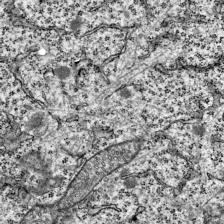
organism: Mouse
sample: Visual Cortex